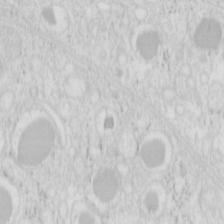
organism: Mouse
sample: Pancreas